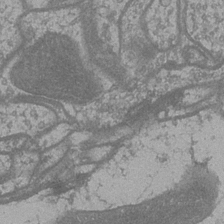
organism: Drosophila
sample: Optic medulla